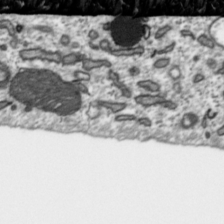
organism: Toxoplasma gondii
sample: Parasites in a vacuole inside a host cell